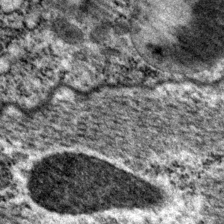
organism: P. pacificus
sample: Pharynx